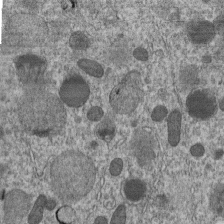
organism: C. elegans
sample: C. elegans embryo early stage